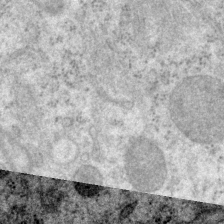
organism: P. pacificus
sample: Pharynx